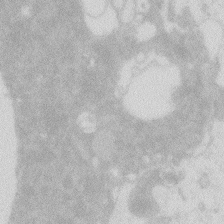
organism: Zebrafish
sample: Macrophage